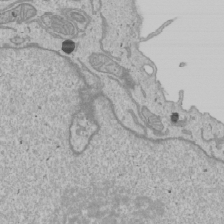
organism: Human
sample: Mitochondria in U2OS cells